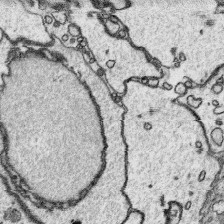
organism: Platynereis dumerilii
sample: Parapodia